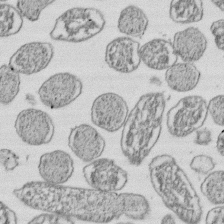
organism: E. coli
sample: Bacterial nucleoid